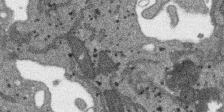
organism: Human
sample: Lung epithelial cells infected with SARS-CoV-2